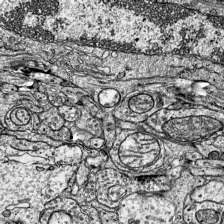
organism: Mouse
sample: Visual Cortex